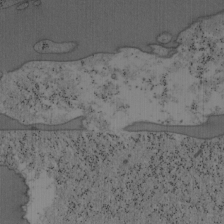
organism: Mouse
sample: OT-I killer T cells with ID8 ovarian cancer cells